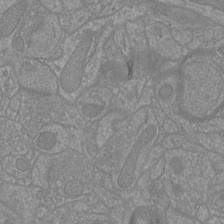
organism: Mouse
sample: Cortical neurons